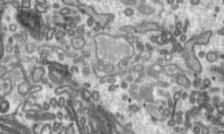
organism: Toxoplasma gondii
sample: Parasites in a vacuole inside a host cell